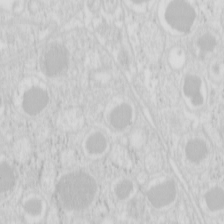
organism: Mouse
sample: Pancreas